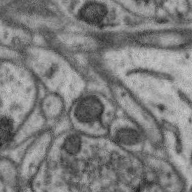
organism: Zebra finch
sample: Brain